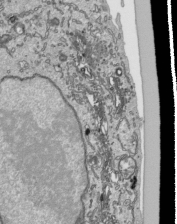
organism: Human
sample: Mitochondria in HCT116 cells